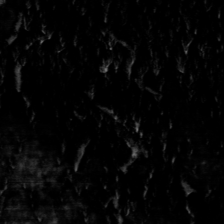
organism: Toxoplasma gondii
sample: Parasites in a vacuole inside a host cell